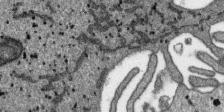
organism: Human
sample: Lung epithelial cells, uninfected (mock) control